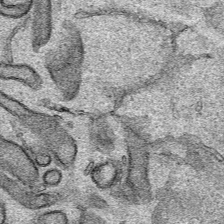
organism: Human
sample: Mitochondria in HCT116 cells